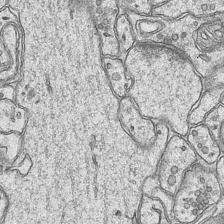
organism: Mouse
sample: CA1 Hippocampus